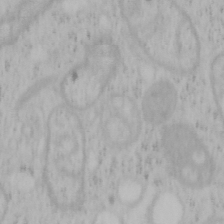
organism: Mouse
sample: OT-I killer T cells with ID8 ovarian cancer cells